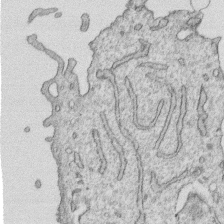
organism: Human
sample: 1205lu cells